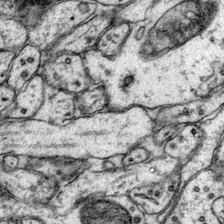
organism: Mouse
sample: Primary visual cortex